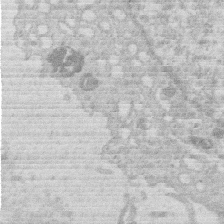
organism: Human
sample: Macrophage cells